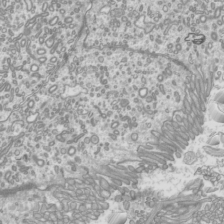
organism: Mouse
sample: Cilia; mouse epididymis